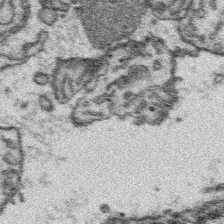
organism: Platynereis dumerilii